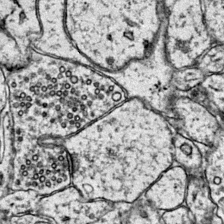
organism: Mouse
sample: Primary visual cortex